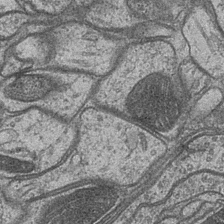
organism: Drosophila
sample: Optic medulla